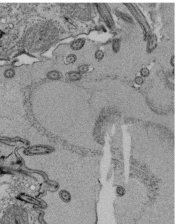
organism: Tetrahymena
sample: Cilia in tetrahymena